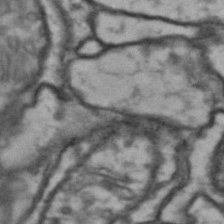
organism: Drosophila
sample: Brain